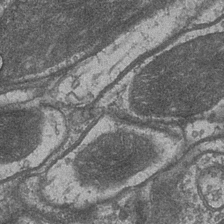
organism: Drosophila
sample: Optic medulla